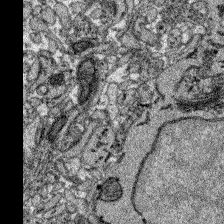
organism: Zebrafish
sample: Larval olfactory bulb